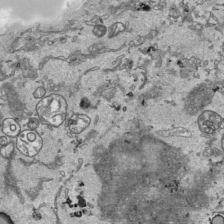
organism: Human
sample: Mitochondria in HCT116 cells